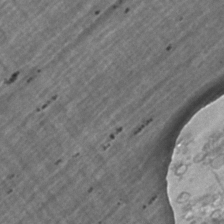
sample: Trachea